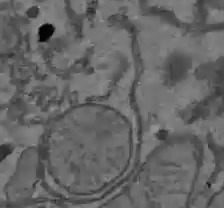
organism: C57BL Mouse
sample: Liver